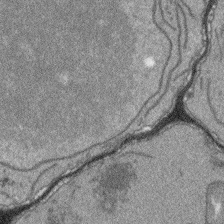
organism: Arabidopsis thaliana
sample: Root tip